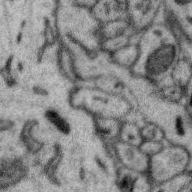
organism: Zebra finch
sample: Brain